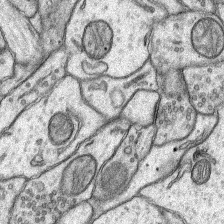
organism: Rat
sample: Hippocampus